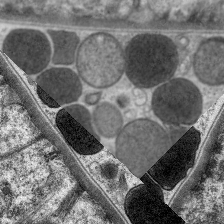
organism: C. elegans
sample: Pharynx